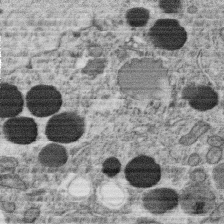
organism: C. elegans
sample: C. elegans oocyte; sperm cells